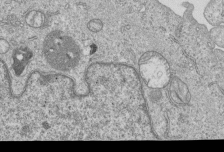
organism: Human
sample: MDA-MB-231 cells